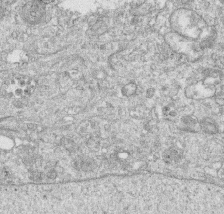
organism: Human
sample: HeLa cell HIV synapse